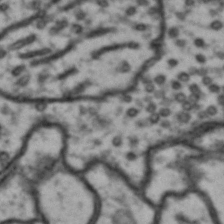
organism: Drosophila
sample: Brain